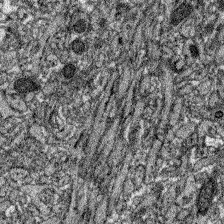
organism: Zebrafish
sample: Larval olfactory bulb